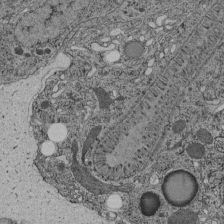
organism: C. elegans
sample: C. elegans pharynx